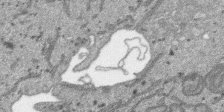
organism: Human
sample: Lung epithelial cells infected with SARS-CoV-2